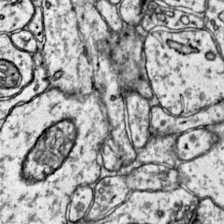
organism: Mouse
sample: Primary visual cortex